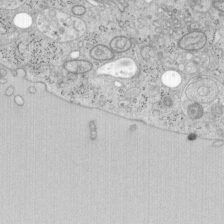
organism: Mouse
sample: OT-I killer T cells with ID8 ovarian cancer cells